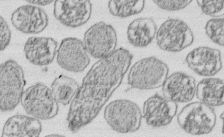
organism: E. coli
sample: Bacterial nucleoid